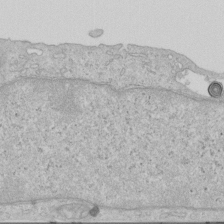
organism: Human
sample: Centriole in RPE cells